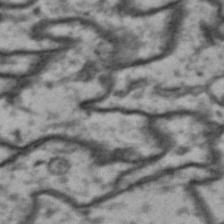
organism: Drosophila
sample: Brain